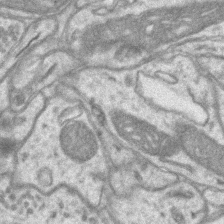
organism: Mouse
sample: CA1 Hippocampus